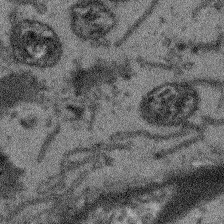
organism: Arabidopsis thaliana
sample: Root tip